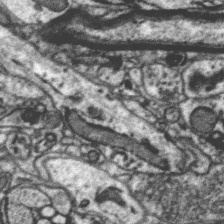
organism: Zebra finch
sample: Brain